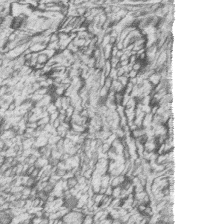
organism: Zebrafish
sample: synaptic ribbons in rod cells and cone cells